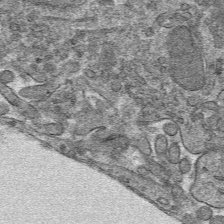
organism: Mouse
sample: Mouse hepatocytes